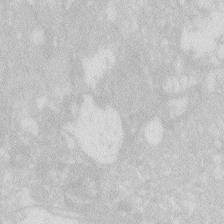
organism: Zebrafish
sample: Macrophage